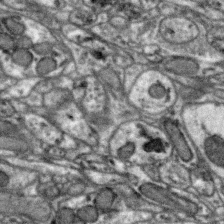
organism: Zebra finch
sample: Brain